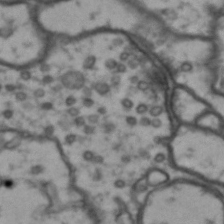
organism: Drosophila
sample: Brain